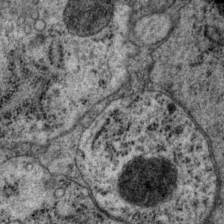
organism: P. pacificus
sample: Pharynx